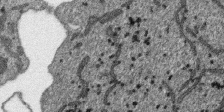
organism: Human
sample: Lung epithelial cells infected with SARS-CoV-2